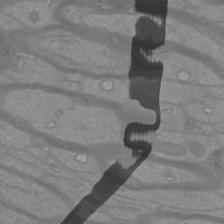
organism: Mouse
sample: Cortical neurons